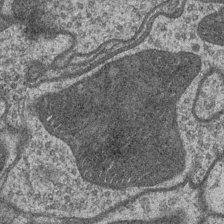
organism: Drosophila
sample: Optic medulla